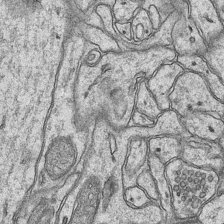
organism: Mouse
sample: CA1 Hippocampus